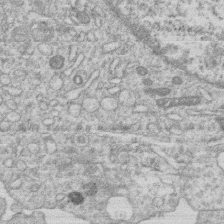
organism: Human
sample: Macrophage cells